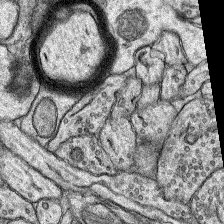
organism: Rat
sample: Hippocampus